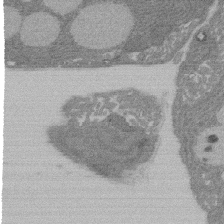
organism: Rat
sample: Salivary granule